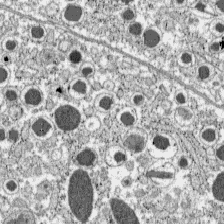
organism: C57BL Mouse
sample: Pancreatic islet